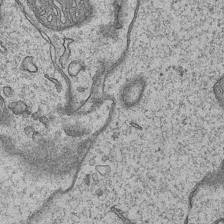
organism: Mouse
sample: CA1 Hippocampus